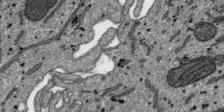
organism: Human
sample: Lung epithelial cells, uninfected (mock) control